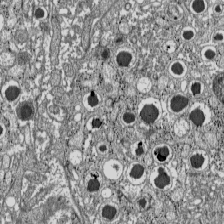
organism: C57BL Mouse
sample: Pancreatic islet